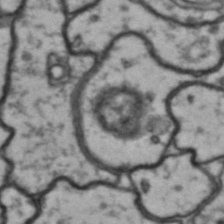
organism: Drosophila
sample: Brain